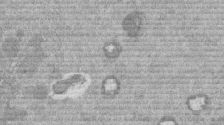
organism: Mouse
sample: Dividing mouse embryo 1 cell stage